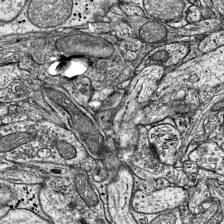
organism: Mouse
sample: Visual Cortex